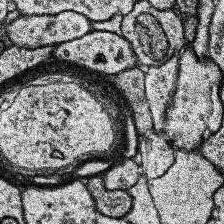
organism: Human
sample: Temporal Lobe